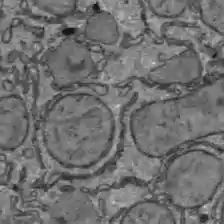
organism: C57BL Mouse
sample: Liver